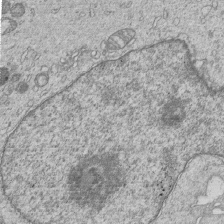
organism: Human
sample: MDA-MB-231 cells